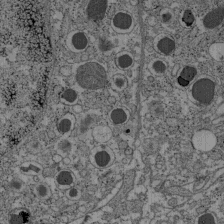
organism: C57BL Mouse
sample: Pancreatic islet